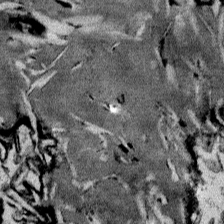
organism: Mouse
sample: Mouse Salivary gland